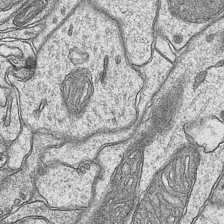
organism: Mouse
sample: CA1 Hippocampus